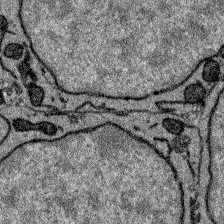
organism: Zebrafish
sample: Larval olfactory bulb